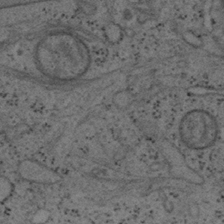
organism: Human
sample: HeLa cells